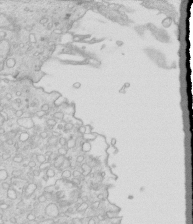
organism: Mouse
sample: Multiciliated cells